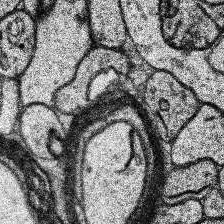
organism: Human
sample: Temporal Lobe